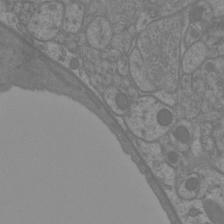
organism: Mouse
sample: Cortical neurons